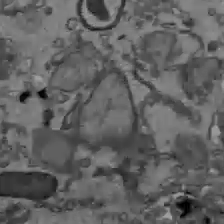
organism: C57BL Mouse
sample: Liver